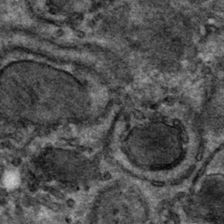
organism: Mouse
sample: Mouse hepatocytes